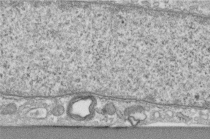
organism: Human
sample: Centriole in fibroblast cells